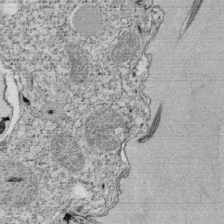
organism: Tetrahymena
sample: Cilia in tetrahymena